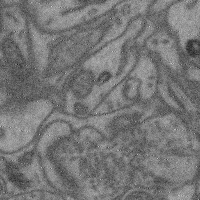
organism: Mouse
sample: Cerebral cortex